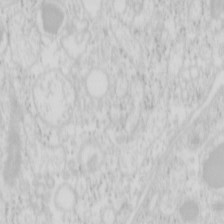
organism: Mouse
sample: Pancreas